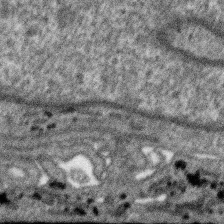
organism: Human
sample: Lung epithelial cells infected with SARS-CoV-2